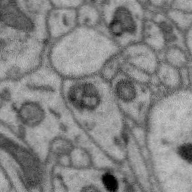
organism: Zebra finch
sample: Brain